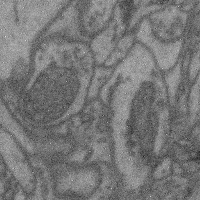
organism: Mouse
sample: Cerebral cortex